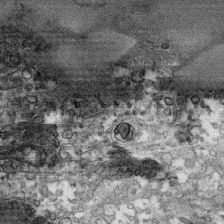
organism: Human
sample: CRL-1474